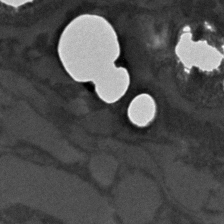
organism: C. elegans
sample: C. elegans embryo